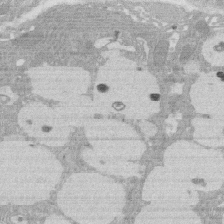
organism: Rat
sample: Salivary granule